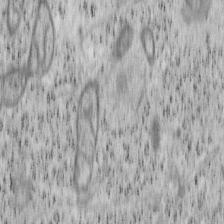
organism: Human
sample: HeLa cells